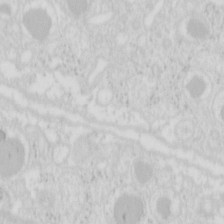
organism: Mouse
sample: Pancreas